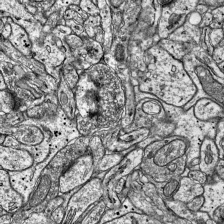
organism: Mouse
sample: Visual Cortex